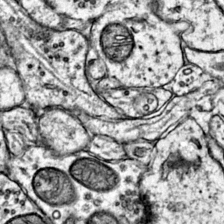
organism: Mouse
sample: Primary visual cortex